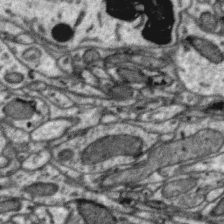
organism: Zebra finch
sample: Brain